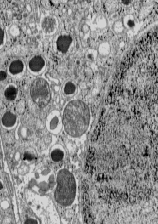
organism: C57BL Mouse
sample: Pancreatic islet